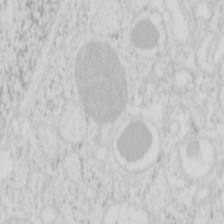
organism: Mouse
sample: Pancreas